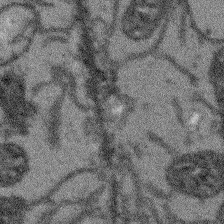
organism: Arabidopsis thaliana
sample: Root tip